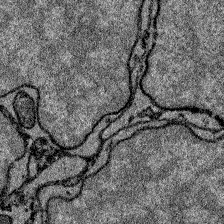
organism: Zebrafish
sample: Larval olfactory bulb